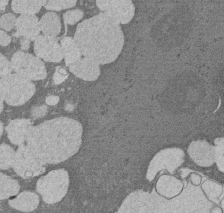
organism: Rat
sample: Salivary granule